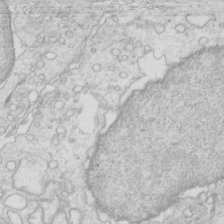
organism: Mouse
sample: Multiciliated cells